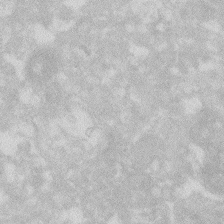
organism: Zebrafish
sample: Macrophage